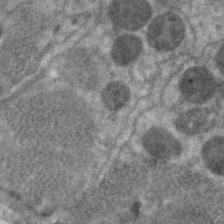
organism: C. elegans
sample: Pharynx